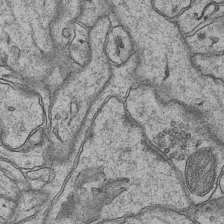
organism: Mouse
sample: CA1 Hippocampus